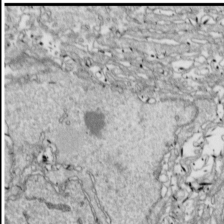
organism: Drosophila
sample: Cell division; meiosis; drosophila spermatocytes